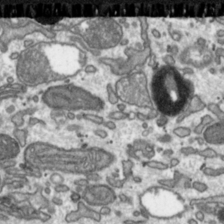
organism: Toxoplasma gondii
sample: Parasites in a vacuole inside a host cell